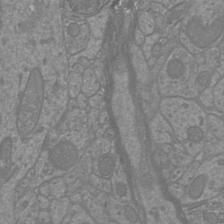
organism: Mouse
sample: Cortical neurons